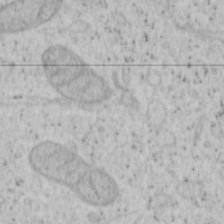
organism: Human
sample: HeLa cells